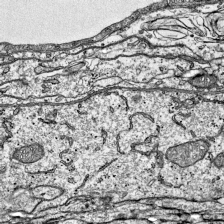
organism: Mouse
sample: Visual Cortex